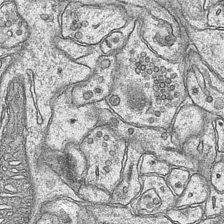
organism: Mouse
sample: CA1 Hippocampus